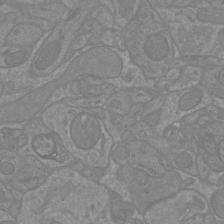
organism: Mouse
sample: Cortical neurons